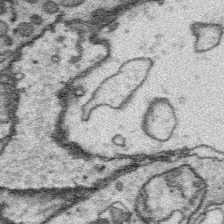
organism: Platynereis dumerilii